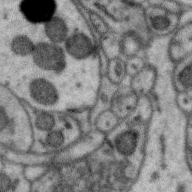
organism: Zebra finch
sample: Brain